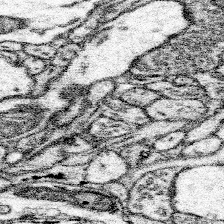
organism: Mouse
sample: Somatosensory cortex neuropil